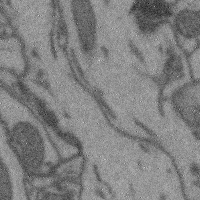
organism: Mouse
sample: Cerebral cortex